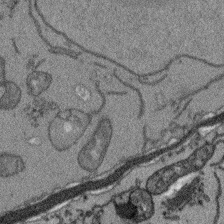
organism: Arabidopsis thaliana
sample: Root tip